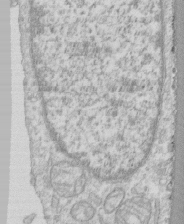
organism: Human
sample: CRL-1474